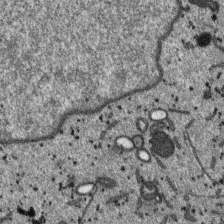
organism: Human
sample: Lung epithelial cells infected with SARS-CoV-2